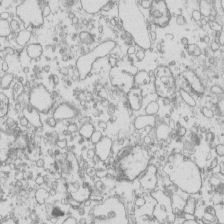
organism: Mouse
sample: Macrophages